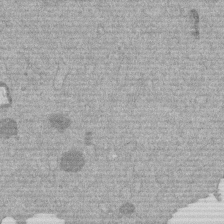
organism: Mouse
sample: Dividing mouse embryo 1 cell stage